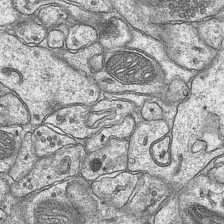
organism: Mouse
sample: CA1 Hippocampus